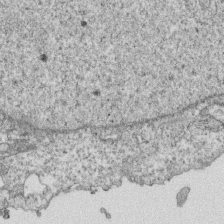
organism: Human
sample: HeLa cell HIV synapse